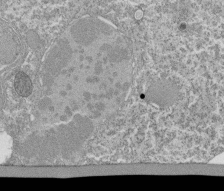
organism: Tetrahymena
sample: Cilia in tetrahymena